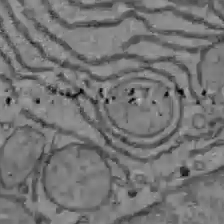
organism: C57BL Mouse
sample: Liver